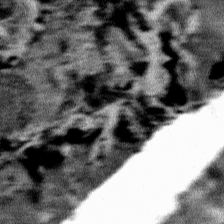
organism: Mouse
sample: Mouse Salivary gland